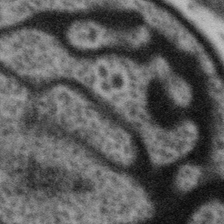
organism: Gemmata obscuriglobus